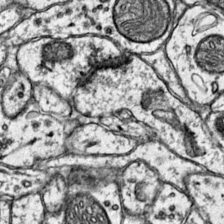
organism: Mouse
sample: Primary visual cortex